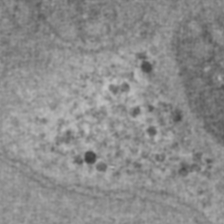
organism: Human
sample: Blood